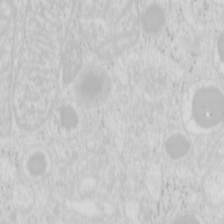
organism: Mouse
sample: Pancreas